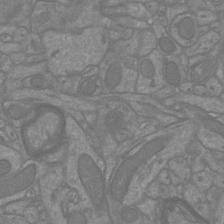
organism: Mouse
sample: Cortical neurons